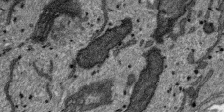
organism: Human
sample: Lung epithelial cells, uninfected (mock) control